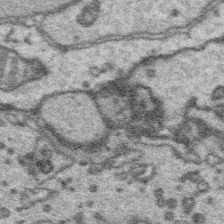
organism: Platynereis dumerilii